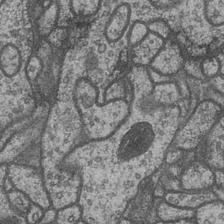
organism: Drosophila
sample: Optic medulla